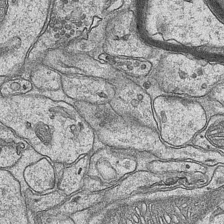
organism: Mouse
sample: CA1 Hippocampus